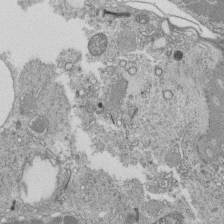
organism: Tetrahymena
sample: Cilia in tetrahymena